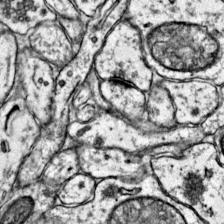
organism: Mouse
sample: Primary visual cortex